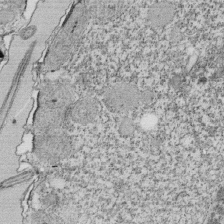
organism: Tetrahymena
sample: Cilia in tetrahymena